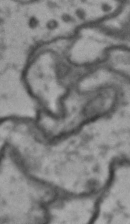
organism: Drosophila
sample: Brain